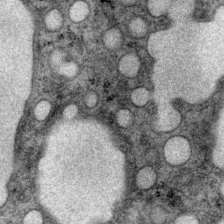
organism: P. pacificus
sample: Pharynx